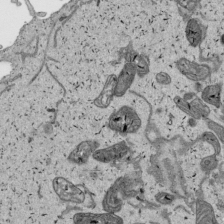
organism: Human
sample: Mitochondria in HCT116 cells